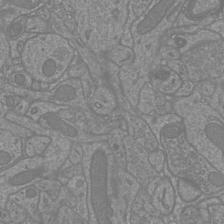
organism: Mouse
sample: Cortical neurons